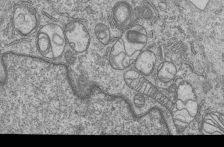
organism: Human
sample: MDA-MB-231 cells